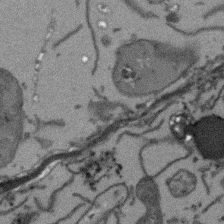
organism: Arabidopsis thaliana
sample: Root tip